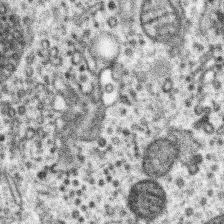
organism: Human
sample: HeLa cells